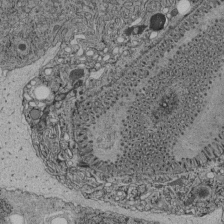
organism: C. elegans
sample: C. elegans pharynx